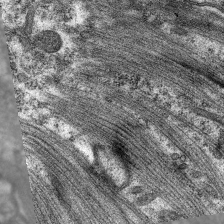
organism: C. elegans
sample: Pharynx